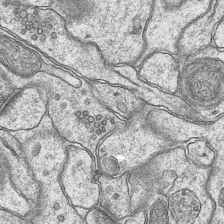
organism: Mouse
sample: CA1 Hippocampus